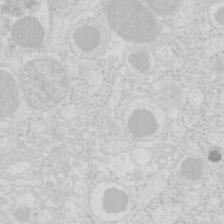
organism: Mouse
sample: Pancreas